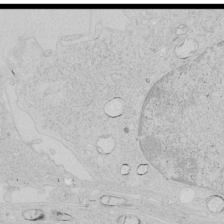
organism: Human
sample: Mitochondria in HCT116 cells